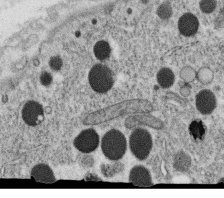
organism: C. elegans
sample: C. elegans oocyte; sperm cells